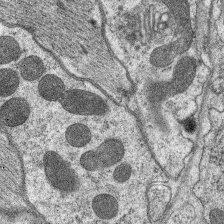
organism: C. elegans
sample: Pharynx